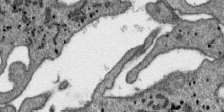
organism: Human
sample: Lung epithelial cells, uninfected (mock) control